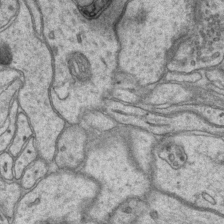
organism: Mouse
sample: CA1 Hippocampus